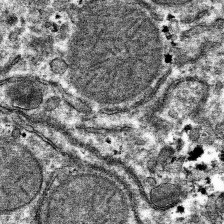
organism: Mouse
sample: Mouse hepatocytes